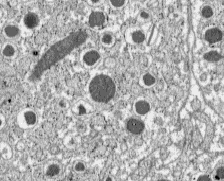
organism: C57BL Mouse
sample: Pancreatic islet